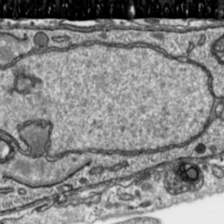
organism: Toxoplasma gondii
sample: Parasites in a vacuole inside a host cell